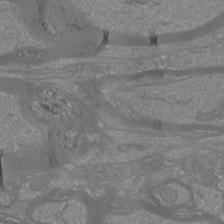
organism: Mouse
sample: Cortical neurons